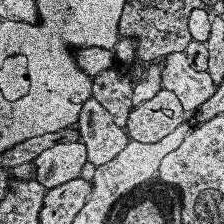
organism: Human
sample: Temporal Lobe